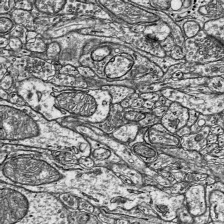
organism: Mouse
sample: Visual Cortex